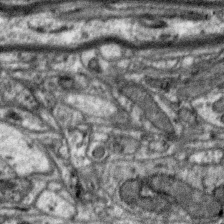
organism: Zebra finch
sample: Brain